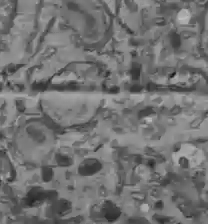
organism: C57BL Mouse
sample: Liver